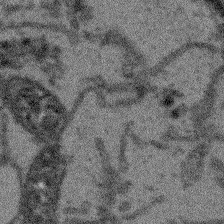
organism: Arabidopsis thaliana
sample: Root tip